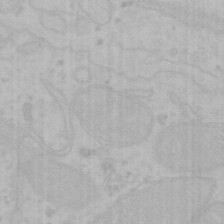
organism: Mouse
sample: Choroid plexus